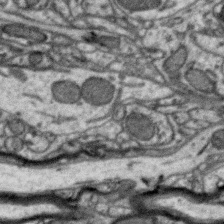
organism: Zebra finch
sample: Brain